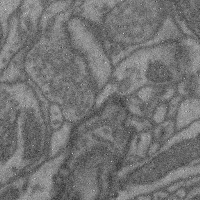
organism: Mouse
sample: Cerebral cortex